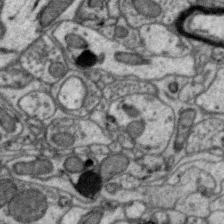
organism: Zebra finch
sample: Brain